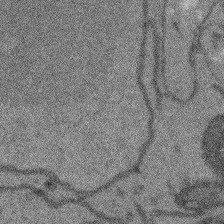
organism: Arabidopsis thaliana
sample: Root tip